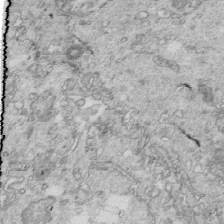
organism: Mouse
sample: Multiciliated cells